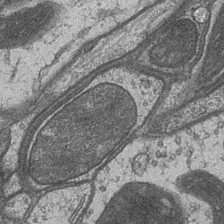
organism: Drosophila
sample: Optic medulla